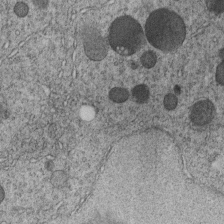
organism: C. elegans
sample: C. elegans embryo early stage